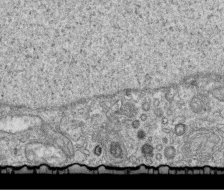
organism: Human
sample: HeLa cell HIV synapse